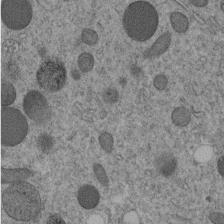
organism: C. elegans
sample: C. elegans embryo early stage